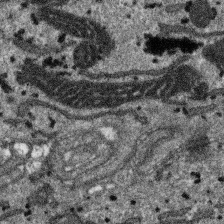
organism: Human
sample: Lung epithelial cells infected with SARS-CoV-2